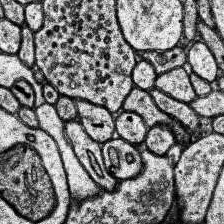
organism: Human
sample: Temporal Lobe